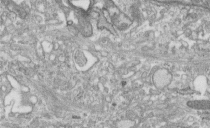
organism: Human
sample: Centriole in fibroblast cells